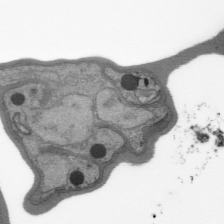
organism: Plasmodium falciparum